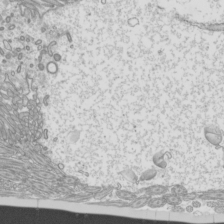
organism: Mouse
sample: Cilia; mouse epididymis